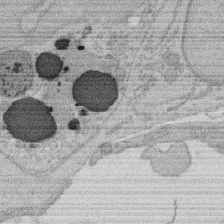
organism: Rat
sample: Salivary granule